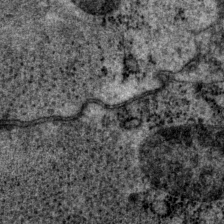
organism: P. pacificus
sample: Pharynx